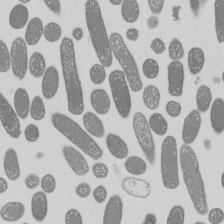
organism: E. coli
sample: Bacterial nucleoid